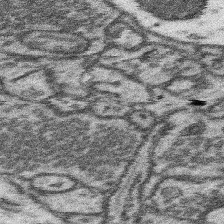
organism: Mouse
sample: Somatosensory cortex neuropil